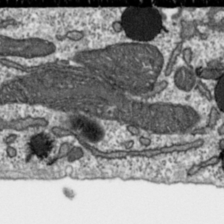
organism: Toxoplasma gondii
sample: Parasites in a vacuole inside a host cell